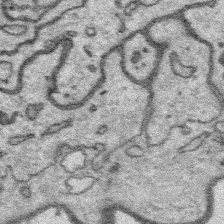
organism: Platynereis dumerilii